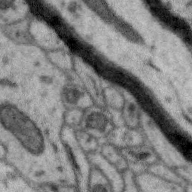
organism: Zebra finch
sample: Brain